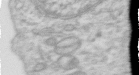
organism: Human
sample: Centriole in RPE cells